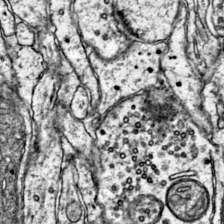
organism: Mouse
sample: Primary visual cortex